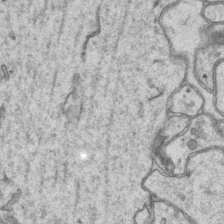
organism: Mouse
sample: CA1 Hippocampus